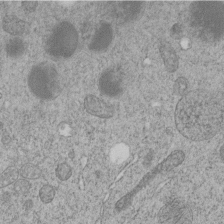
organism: C. elegans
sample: C. elegans embryo early stage